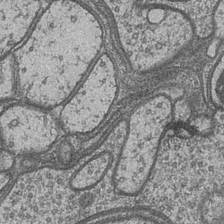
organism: Drosophila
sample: Optic medulla